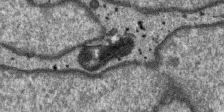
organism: Human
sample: Lung epithelial cells, uninfected (mock) control